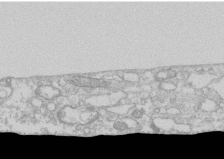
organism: Human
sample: CRL-1474